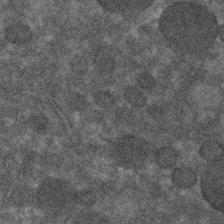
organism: C. elegans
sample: C. elegans embryo